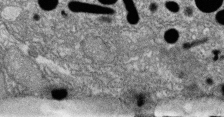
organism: Zebrafish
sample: Cilia; retinal pigment epithelium